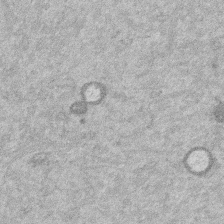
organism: Mouse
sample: Dividing mouse embryo 1 cell stage